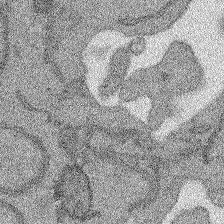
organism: Human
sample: HeLa cells